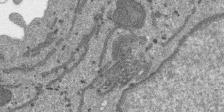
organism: Human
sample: Lung epithelial cells infected with SARS-CoV-2